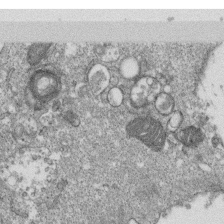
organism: African green monkey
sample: Vero E6 cells infected with SARS-CoV-2